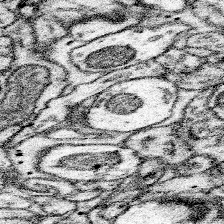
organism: Mouse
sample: Somatosensory cortex neuropil